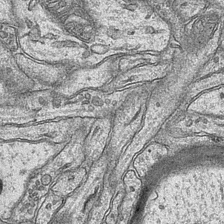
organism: Mouse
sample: CA1 Hippocampus